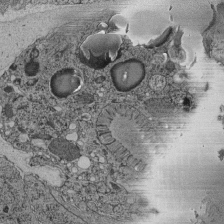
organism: C. elegans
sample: C. elegans pharynx